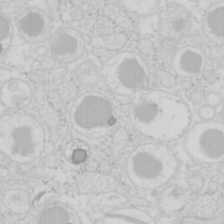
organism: Mouse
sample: Pancreas